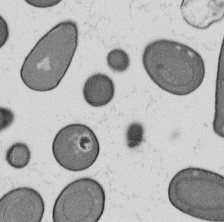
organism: B. subtilis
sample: Bacterial spore